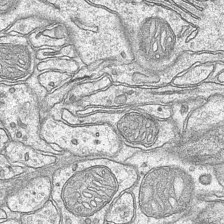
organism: Mouse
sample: CA1 Hippocampus